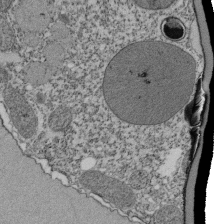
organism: Tetrahymena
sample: Cilia in tetrahymena